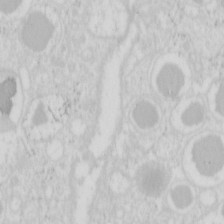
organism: Mouse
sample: Pancreas